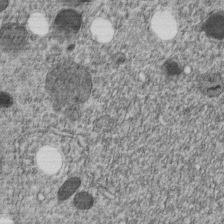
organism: C. elegans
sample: C. elegans embryo early stage